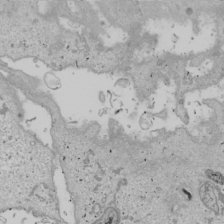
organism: Human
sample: Mitochondria in U2OS cells